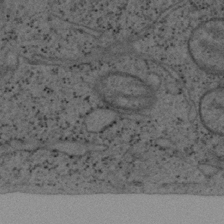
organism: Human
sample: HeLa cells